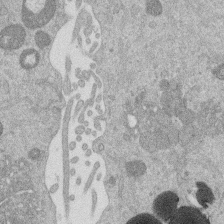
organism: Mouse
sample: Dividing mouse embryo 1 cell stage